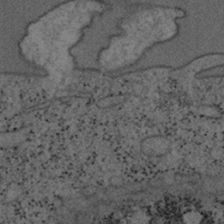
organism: Human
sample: HeLa cells